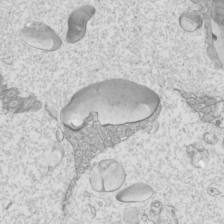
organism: Mouse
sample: Cilia; mouse epididymis